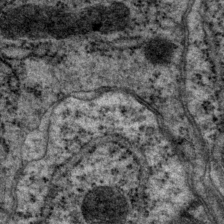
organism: P. pacificus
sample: Pharynx